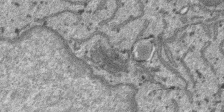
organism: Human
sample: Lung epithelial cells infected with SARS-CoV-2